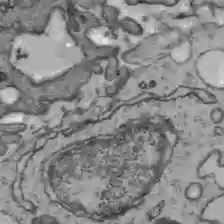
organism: C57BL Mouse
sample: Liver